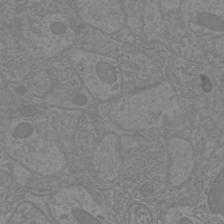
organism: Mouse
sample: Cortical neurons